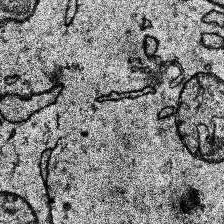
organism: Human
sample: Temporal Lobe